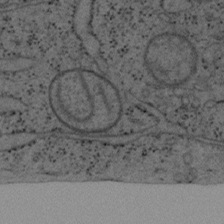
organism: Human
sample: HeLa cells